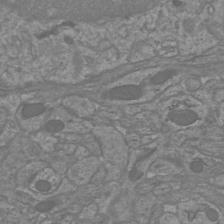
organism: Mouse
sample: Cortical neurons